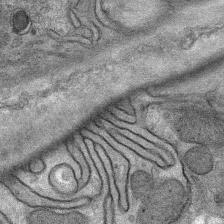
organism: Mouse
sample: Mouse Salivary gland